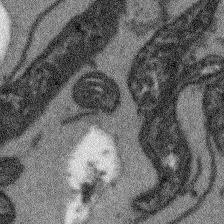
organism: Arabidopsis thaliana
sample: Root tip